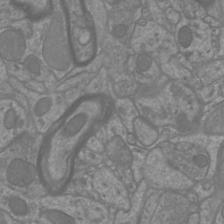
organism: Mouse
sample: Cortical neurons